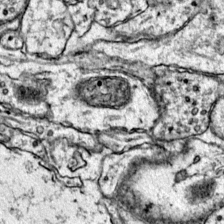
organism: Mouse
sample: Primary visual cortex